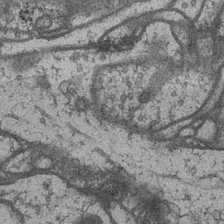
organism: Drosophila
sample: Optic medulla